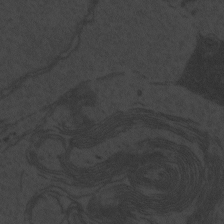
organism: Zebrafish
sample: Macrophage infected with Toxoplasma gondii